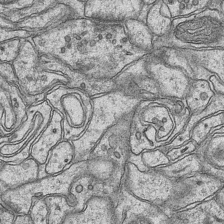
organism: Mouse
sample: CA1 Hippocampus